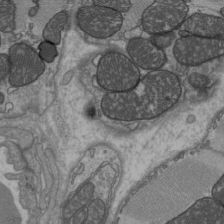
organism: C57BL Mouse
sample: Heart